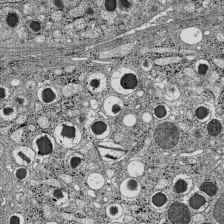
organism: C57BL Mouse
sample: Pancreatic islet